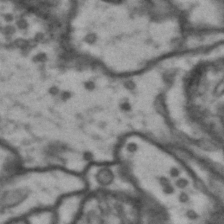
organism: Drosophila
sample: Brain